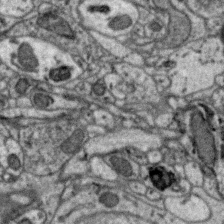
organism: Zebra finch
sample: Brain